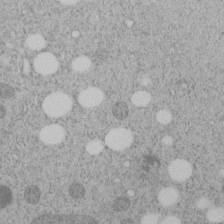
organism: C. elegans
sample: C. elegans embryo early stage